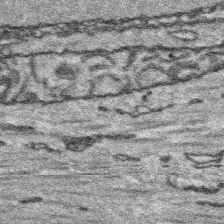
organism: Platynereis dumerilii